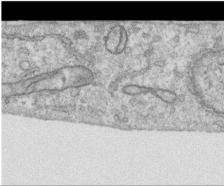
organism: Human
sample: Centriole in RPE cells